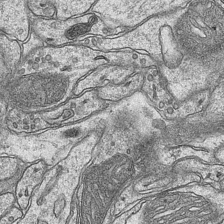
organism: Mouse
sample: CA1 Hippocampus